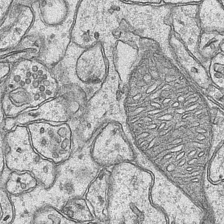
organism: Mouse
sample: CA1 Hippocampus